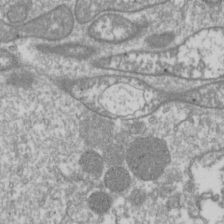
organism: Drosophila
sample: Cell division; meiosis; drosophila spermatocytes